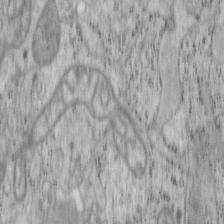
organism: Human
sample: HeLa cells